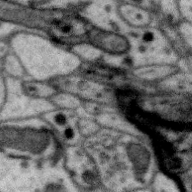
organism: Zebra finch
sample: Brain